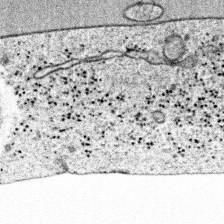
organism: Human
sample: HeLa cells